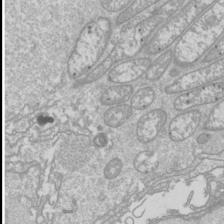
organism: Drosophila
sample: Cell division; meiosis; drosophila spermatocytes